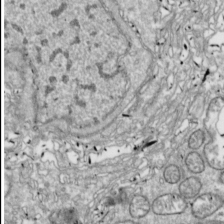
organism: Drosophila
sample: Cell division; meiosis; drosophila spermatocytes